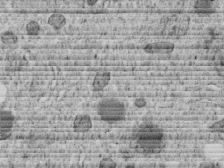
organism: C. elegans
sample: C. elegans embryo early stage